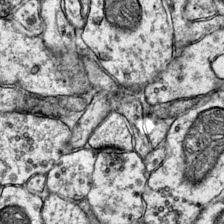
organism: Mouse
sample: Primary visual cortex